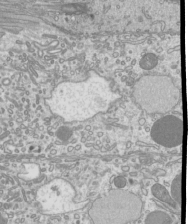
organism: Mouse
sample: Cilia; mouse epididymis